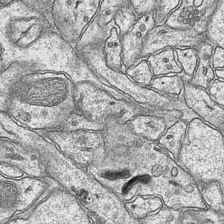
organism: Mouse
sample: CA1 Hippocampus